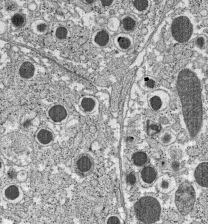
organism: C57BL Mouse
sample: Pancreatic islet